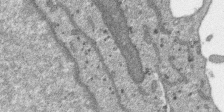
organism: Human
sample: Lung epithelial cells infected with SARS-CoV-2